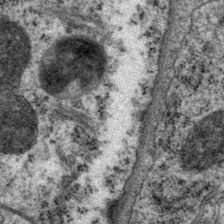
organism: P. pacificus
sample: Pharynx